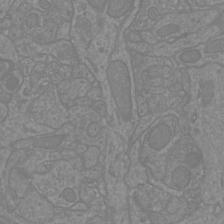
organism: Mouse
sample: Cortical neurons